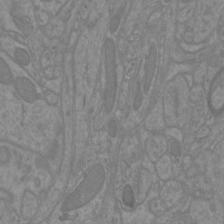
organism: Mouse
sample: Cortical neurons